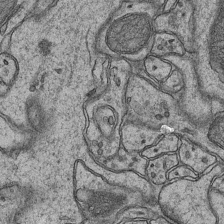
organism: Mouse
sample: CA1 Hippocampus